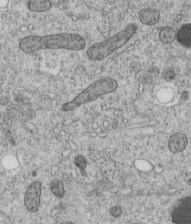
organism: C. elegans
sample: C. elegans embryo early stage